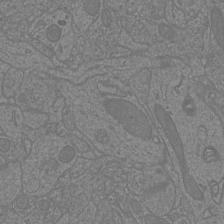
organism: Mouse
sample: Cortical neurons